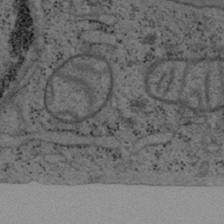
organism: Human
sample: HeLa cells